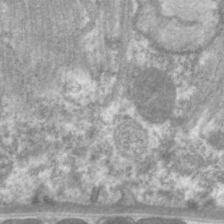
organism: C. elegans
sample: Pharynx